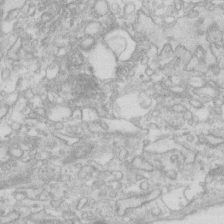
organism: Human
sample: Fibroblast cells